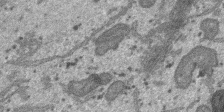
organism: Human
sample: Lung epithelial cells infected with SARS-CoV-2